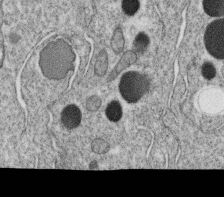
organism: C. elegans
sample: C. elegans oocyte; sperm cells